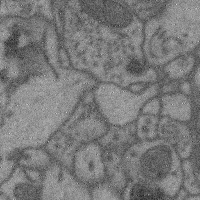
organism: Mouse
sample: Cerebral cortex